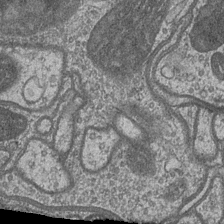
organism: Drosophila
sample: Optic medulla